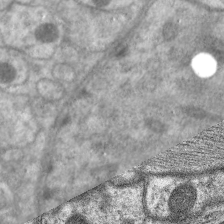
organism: C. elegans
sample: Pharynx